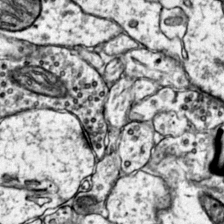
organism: Mouse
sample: Primary visual cortex